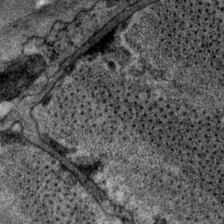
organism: P. pacificus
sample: Pharynx